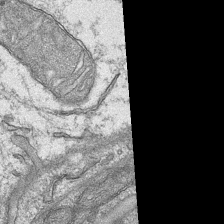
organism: Mouse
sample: CA1 Hippocampus